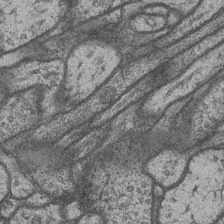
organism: Drosophila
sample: Optic medulla